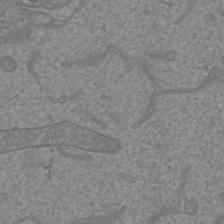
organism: Mouse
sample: Cortical neurons